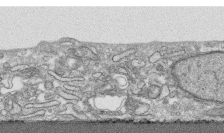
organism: Human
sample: CRL-1474